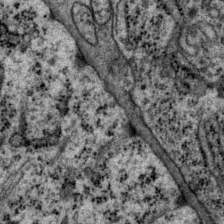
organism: P. pacificus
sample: Pharynx